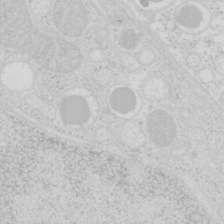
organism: Mouse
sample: Pancreas